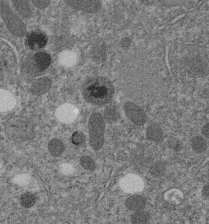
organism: C. elegans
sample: C. elegans embryo early stage